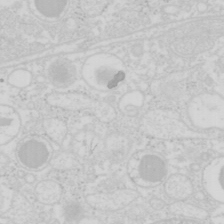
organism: Mouse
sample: Pancreas